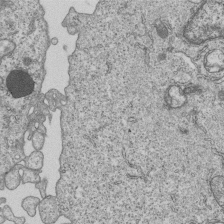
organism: Human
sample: MDA-MB-231 cells